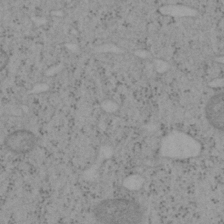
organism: Mouse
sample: OT-I killer T cells with ID8 ovarian cancer cells